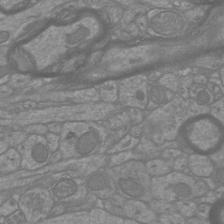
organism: Mouse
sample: Cortical neurons